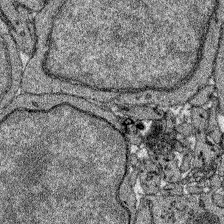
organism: Zebrafish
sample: Larval olfactory bulb